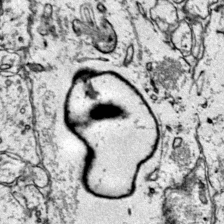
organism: Mouse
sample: Primary visual cortex